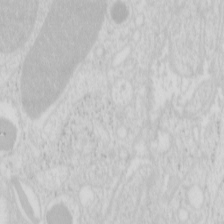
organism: Mouse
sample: Pancreas